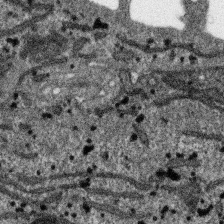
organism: Human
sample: Lung epithelial cells infected with SARS-CoV-2